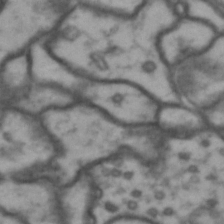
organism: Drosophila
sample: Brain